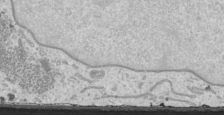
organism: Human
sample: Mitochondria in HCT116 cells